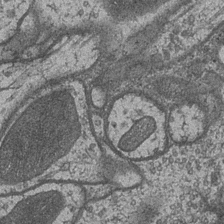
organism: Drosophila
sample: Optic medulla